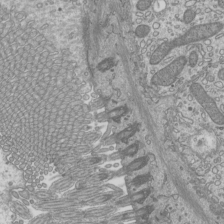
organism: Mouse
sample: Cilia; mouse epididymis